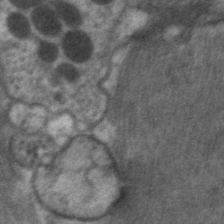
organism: C. elegans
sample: Pharynx